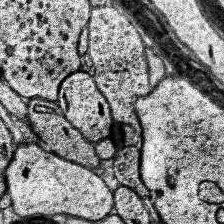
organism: Human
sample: Temporal Lobe